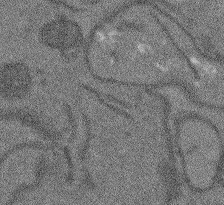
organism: Arabidopsis thaliana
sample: Root tip